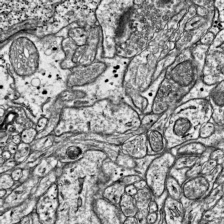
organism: Mouse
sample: Visual Cortex